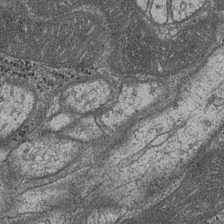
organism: Drosophila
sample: Optic medulla